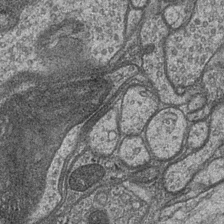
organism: Drosophila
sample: Optic medulla